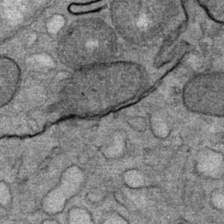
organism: Mouse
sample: Mouse Salivary gland